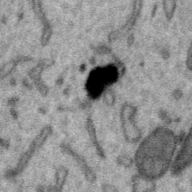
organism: Zebra finch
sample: Brain